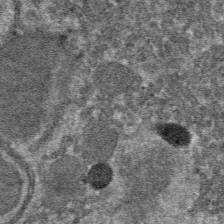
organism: Mouse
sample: Mouse hepatocytes